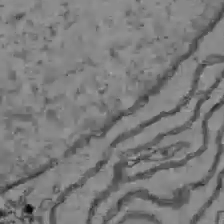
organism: C57BL Mouse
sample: Liver